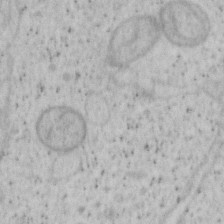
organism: Human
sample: HeLa cells